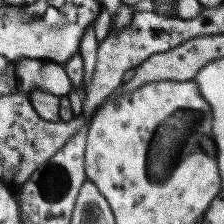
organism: Human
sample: Temporal Lobe